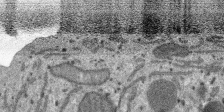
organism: Human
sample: Lung epithelial cells infected with SARS-CoV-2